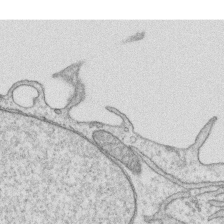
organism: Human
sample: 1205lu cells